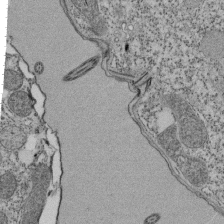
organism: Tetrahymena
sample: Cilia in tetrahymena